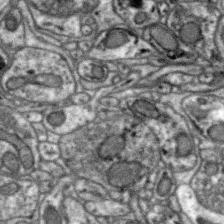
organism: Zebra finch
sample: Brain